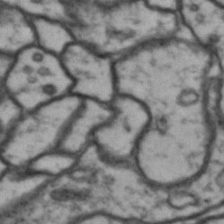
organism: Drosophila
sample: Brain